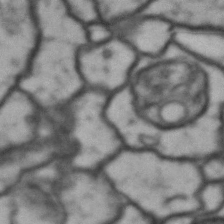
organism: Drosophila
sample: Brain